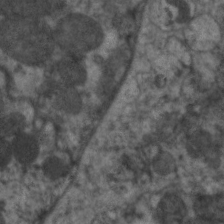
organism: C. elegans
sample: Pharynx